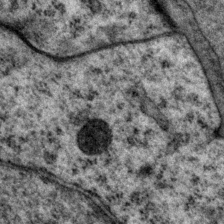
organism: P. pacificus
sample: Pharynx